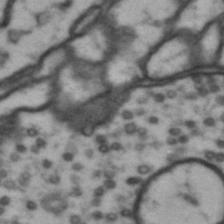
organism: Drosophila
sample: Brain